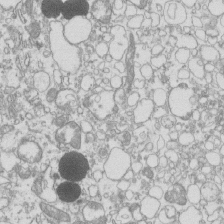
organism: Mouse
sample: Macrophages